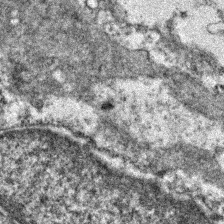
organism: Zebrafish